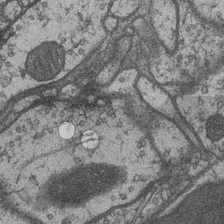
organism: Drosophila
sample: Optic medulla